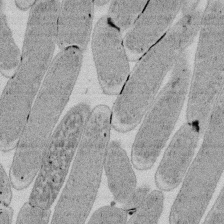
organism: E. coli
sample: Bacterial nucleoid